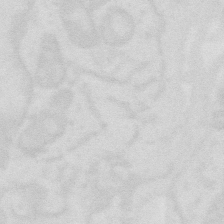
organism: Human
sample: HeLa cells